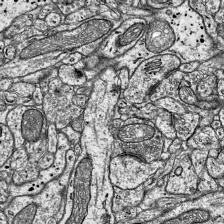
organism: Mouse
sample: Visual Cortex